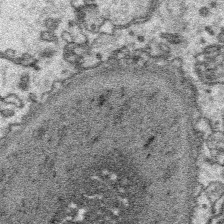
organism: Platynereis dumerilii